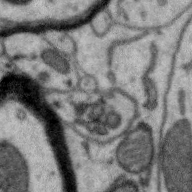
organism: Zebra finch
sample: Brain